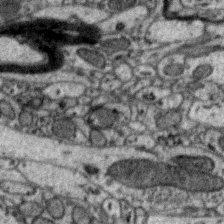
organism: Zebra finch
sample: Brain